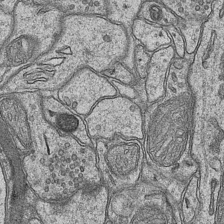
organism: Mouse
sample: CA1 Hippocampus